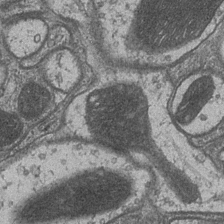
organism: Drosophila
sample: Optic medulla